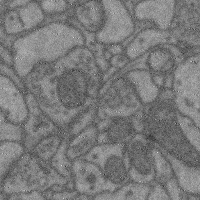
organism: Mouse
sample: Cerebral cortex